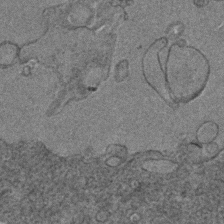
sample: Trachea